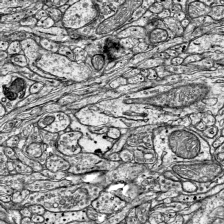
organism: Mouse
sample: Visual Cortex